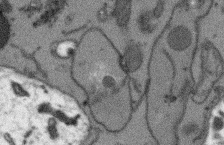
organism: Arabidopsis thaliana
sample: Root tip